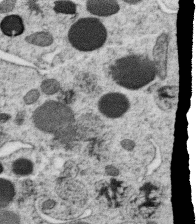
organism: C. elegans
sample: C. elegans oocyte; sperm cells